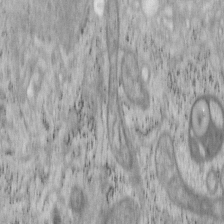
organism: Human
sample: HeLa cells